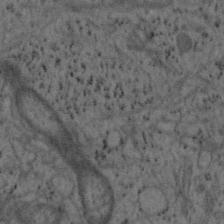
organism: Human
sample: HeLa cells